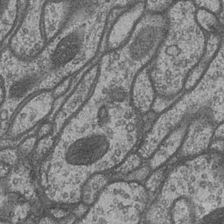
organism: Drosophila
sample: Optic medulla